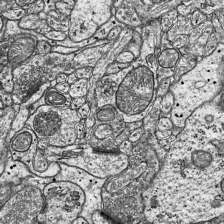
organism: Mouse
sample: Visual Cortex